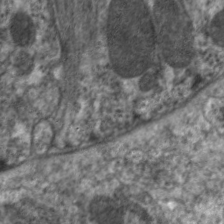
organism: C. elegans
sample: Pharynx